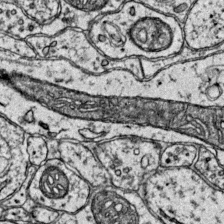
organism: Mouse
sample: Primary visual cortex